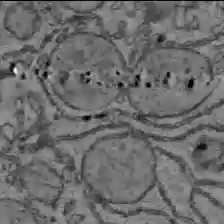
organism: C57BL Mouse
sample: Liver